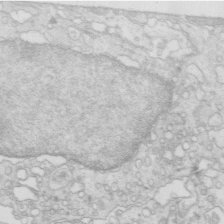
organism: Mouse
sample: Multiciliated cells